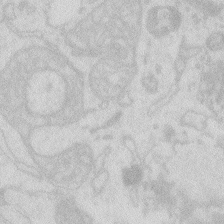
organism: Zebrafish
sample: Macrophage